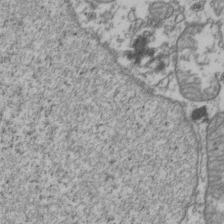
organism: Human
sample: Activated Jurkat CD4+ T cells